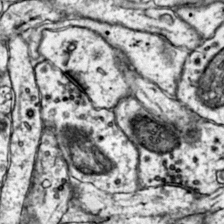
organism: Mouse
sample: Primary visual cortex